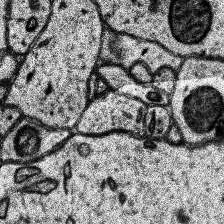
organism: Human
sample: Temporal Lobe